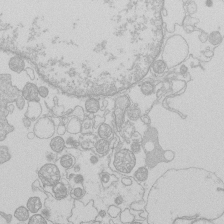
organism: Human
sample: Macrophage cells